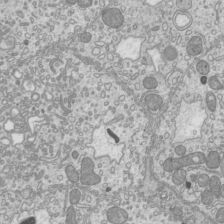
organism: Mouse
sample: Cilia; mouse epididymis